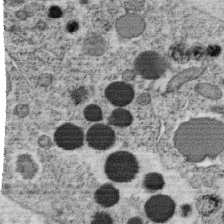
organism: C. elegans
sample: C. elegans oocyte; sperm cells